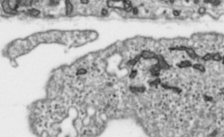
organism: Toxoplasma gondii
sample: Parasites in a vacuole inside a host cell